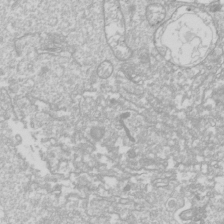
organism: Drosophila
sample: Cell division; meiosis; drosophila spermatocytes